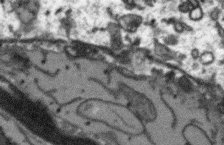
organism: Arabidopsis thaliana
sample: Root tip